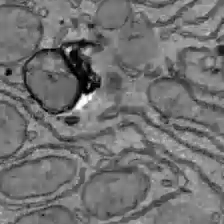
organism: C57BL Mouse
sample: Liver